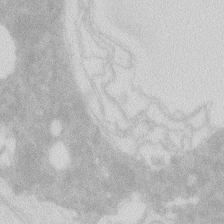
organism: Zebrafish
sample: Macrophage